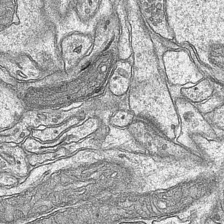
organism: Mouse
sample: CA1 Hippocampus